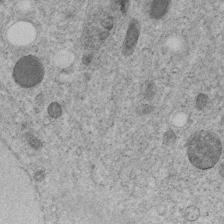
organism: C. elegans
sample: C. elegans embryo early stage